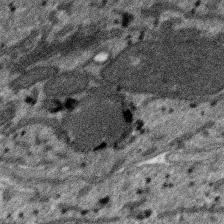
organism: Human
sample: Lung epithelial cells infected with SARS-CoV-2